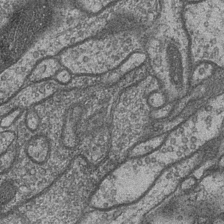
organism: Drosophila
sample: Optic medulla